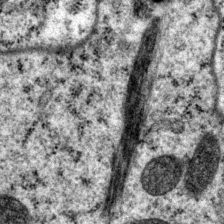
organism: P. pacificus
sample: Pharynx